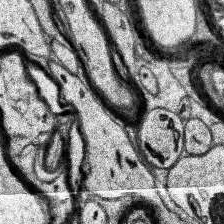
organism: Human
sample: Temporal Lobe